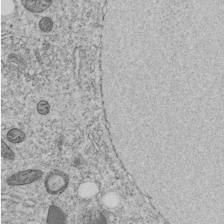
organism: C. elegans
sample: C. elegans embryo early stage